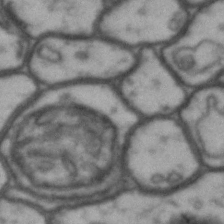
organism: Drosophila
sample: Brain